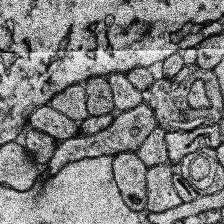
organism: Human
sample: Temporal Lobe